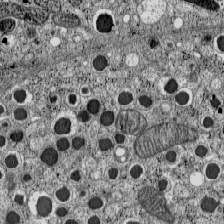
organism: C57BL Mouse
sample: Pancreatic islet